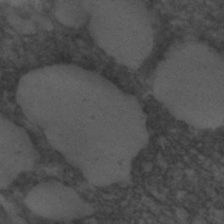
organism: C. elegans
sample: C. elegans embryo